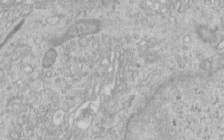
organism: Human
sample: Centriole in RPE cells